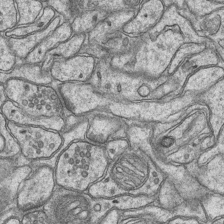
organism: Mouse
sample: CA1 Hippocampus